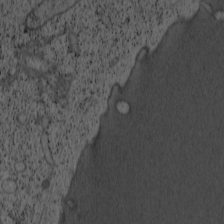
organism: African green monkey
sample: COS-7 cells